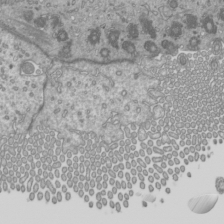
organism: Mouse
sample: Cilia; mouse epididymis